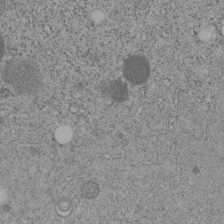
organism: C. elegans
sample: C. elegans embryo early stage